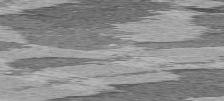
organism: C57BL Mouse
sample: Heart